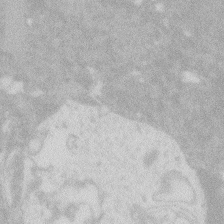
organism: Zebrafish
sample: Macrophage